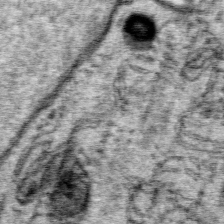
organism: Human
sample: HeLa cells